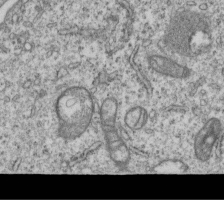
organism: Human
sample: MDA-MB-231 cells